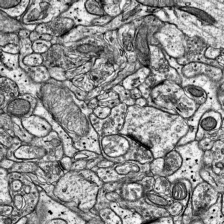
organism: Mouse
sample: Visual Cortex